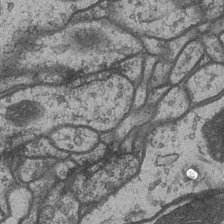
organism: Drosophila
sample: Optic medulla